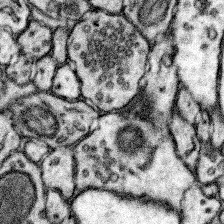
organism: Mouse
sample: Somatosensory cortex neuropil